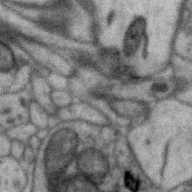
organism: Zebra finch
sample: Brain